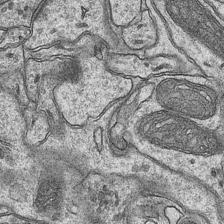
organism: Mouse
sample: CA1 Hippocampus